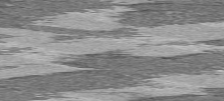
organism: C57BL Mouse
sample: Heart